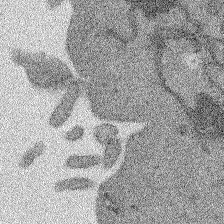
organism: Human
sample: HeLa cells